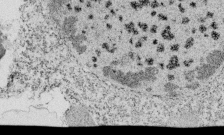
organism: Tetrahymena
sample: Cilia in tetrahymena